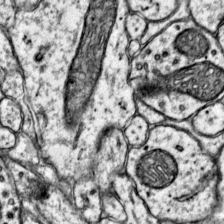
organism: Mouse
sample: Primary visual cortex